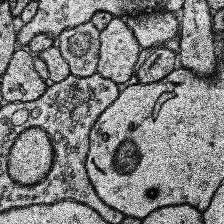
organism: Human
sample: Temporal Lobe